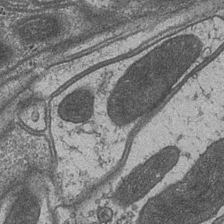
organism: Drosophila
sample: Optic medulla